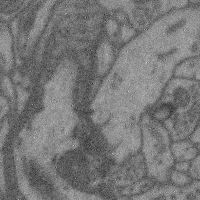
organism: Mouse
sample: Cerebral cortex